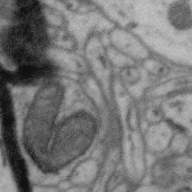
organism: Zebra finch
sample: Brain